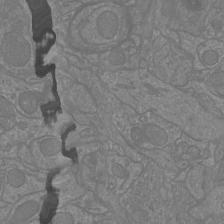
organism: Mouse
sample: Cortical neurons